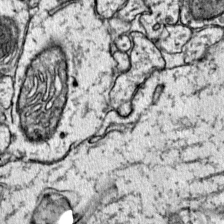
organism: Mouse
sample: Primary visual cortex